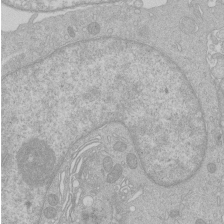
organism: Human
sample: Macrophage cells